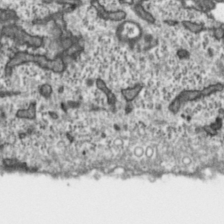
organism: Toxoplasma gondii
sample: Parasites in a vacuole inside a host cell